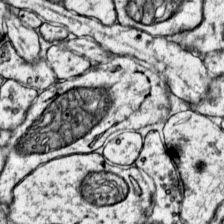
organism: Mouse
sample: Primary visual cortex